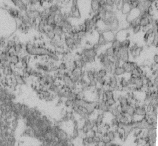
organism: Mouse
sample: Cilia; retinal pigment epithelium